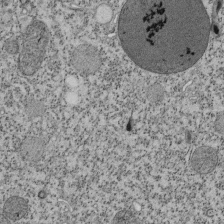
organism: Tetrahymena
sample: Cilia in tetrahymena